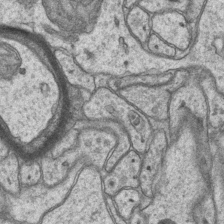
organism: Mouse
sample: CA1 Hippocampus